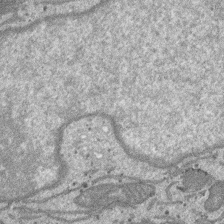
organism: Human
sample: Lung epithelial cells infected with SARS-CoV-2